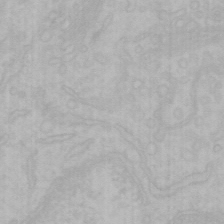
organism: Mouse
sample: Choroid plexus